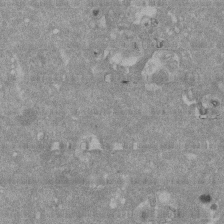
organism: Mouse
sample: ED-1 cell nuclei; centrioles